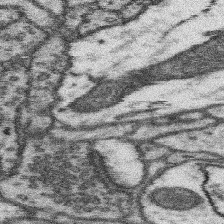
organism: Mouse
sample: Somatosensory cortex neuropil